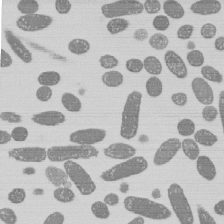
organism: E. coli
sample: Bacterial nucleoid